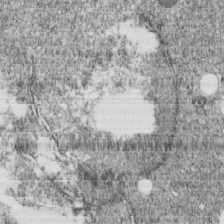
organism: C. elegans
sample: C. elegans embryo early stage